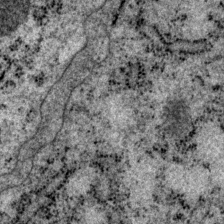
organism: P. pacificus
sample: Pharynx